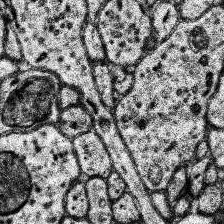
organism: Human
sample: Temporal Lobe